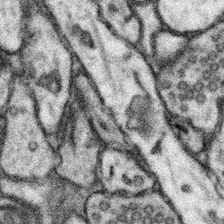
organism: Mouse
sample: Somatosensory cortex neuropil